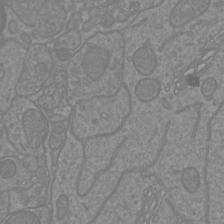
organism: Mouse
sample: Cortical neurons